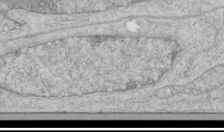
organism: Human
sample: Mitochondria in HCT116 cells